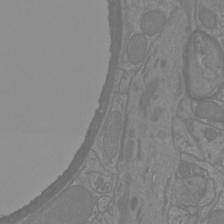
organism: Mouse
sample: Cortical neurons